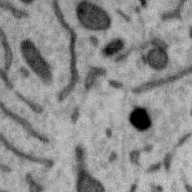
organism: Zebra finch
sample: Brain